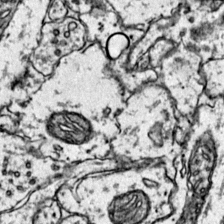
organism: Mouse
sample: Primary visual cortex